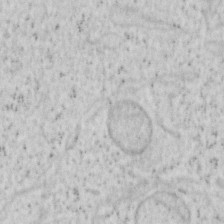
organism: Human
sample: HeLa cells